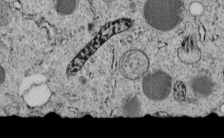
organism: C. elegans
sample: C. elegans embryo early stage